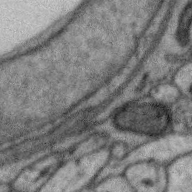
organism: Zebra finch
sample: Brain